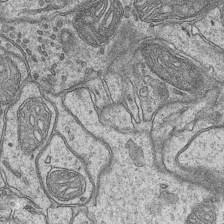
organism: Mouse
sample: CA1 Hippocampus